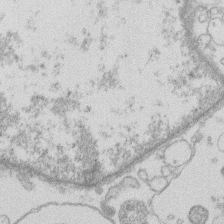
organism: Human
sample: Macrophage cells